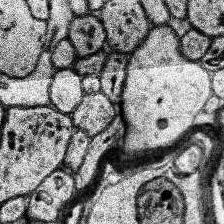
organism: Human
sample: Temporal Lobe